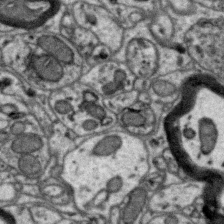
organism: Zebra finch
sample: Brain